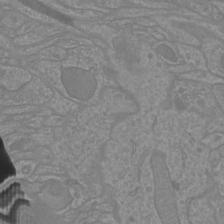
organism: Mouse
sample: Cortical neurons